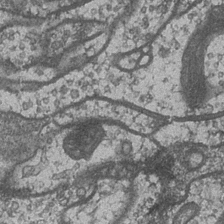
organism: Drosophila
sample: Optic medulla